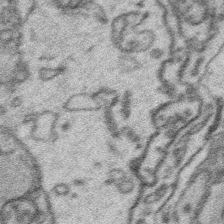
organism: Platynereis dumerilii